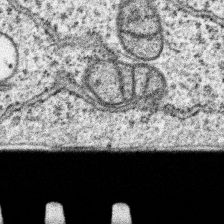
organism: Human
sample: HeLa cells